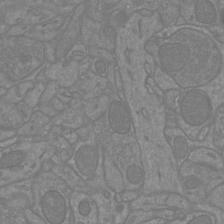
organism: Mouse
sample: Cortical neurons